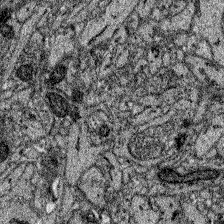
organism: Zebrafish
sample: Larval olfactory bulb